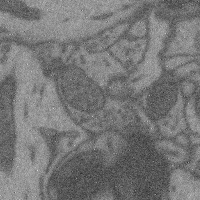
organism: Mouse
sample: Cerebral cortex